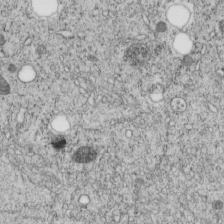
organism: C. elegans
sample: C. elegans embryo early stage